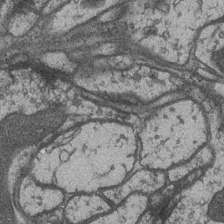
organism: Drosophila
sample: Optic medulla